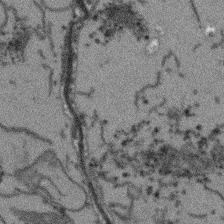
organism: Arabidopsis thaliana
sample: Root tip